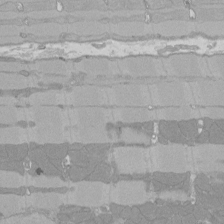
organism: Rat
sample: Left ventricle